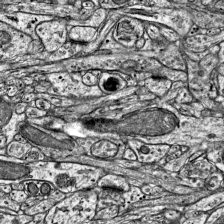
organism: Mouse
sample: Visual Cortex